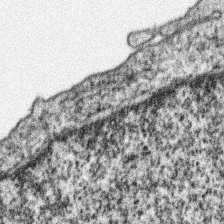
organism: Human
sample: HeLa cells